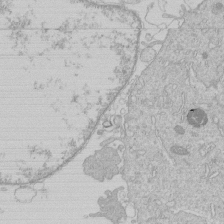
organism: Human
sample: Macrophage cells